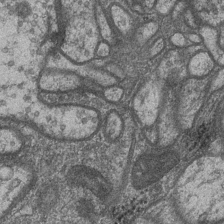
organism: Drosophila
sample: Optic medulla